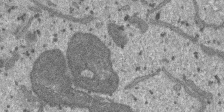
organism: Human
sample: Lung epithelial cells infected with SARS-CoV-2